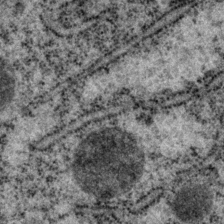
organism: P. pacificus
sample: Pharynx